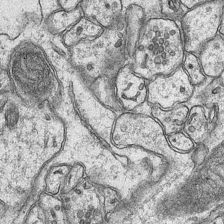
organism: Mouse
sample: CA1 Hippocampus